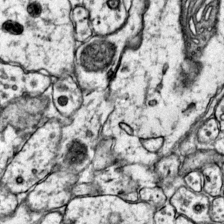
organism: Mouse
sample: Primary visual cortex